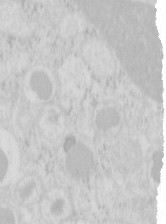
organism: Mouse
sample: Pancreas